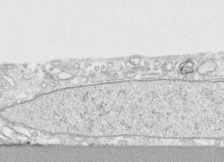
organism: Human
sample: CRL-1474